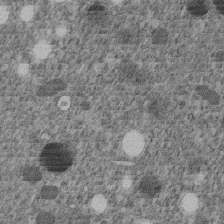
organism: C. elegans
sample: C. elegans embryo early stage